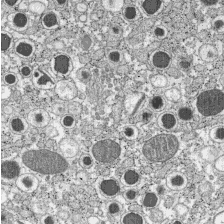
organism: C57BL Mouse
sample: Pancreatic islet